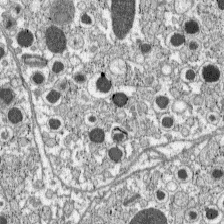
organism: C57BL Mouse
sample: Pancreatic islet